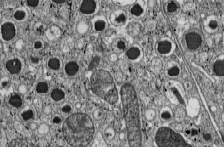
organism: C57BL Mouse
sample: Pancreatic islet